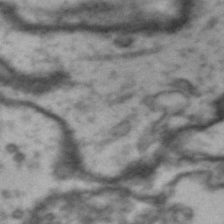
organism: Drosophila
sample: Brain